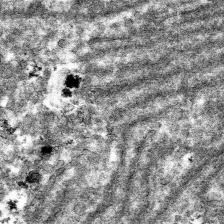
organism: Mouse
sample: Mouse hepatocytes